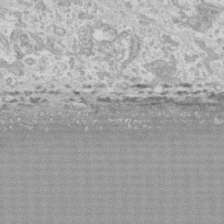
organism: Human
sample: CRL-1474